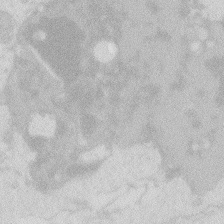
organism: Zebrafish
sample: Macrophage